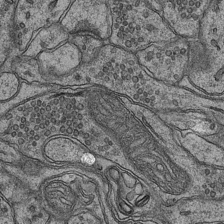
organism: Mouse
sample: CA1 Hippocampus